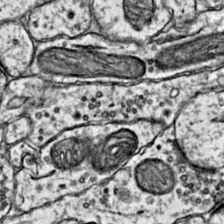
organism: Mouse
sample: Primary visual cortex